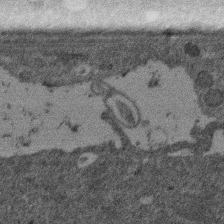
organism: Mouse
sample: Dividing mouse embryo 1 cell stage